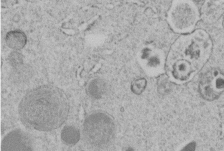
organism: C. elegans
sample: C. elegans embryo early stage